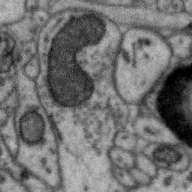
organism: Zebra finch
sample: Brain